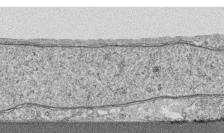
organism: Human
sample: CRL-1474